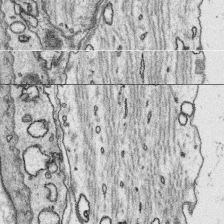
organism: Platynereis dumerilii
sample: Parapodia